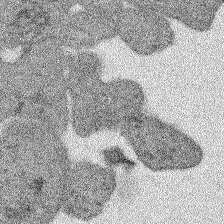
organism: Human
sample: HeLa cells